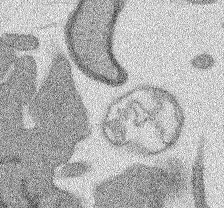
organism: Human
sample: HeLa cells